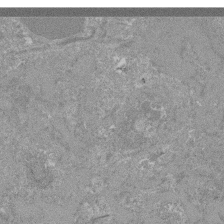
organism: Mouse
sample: Glomerulus